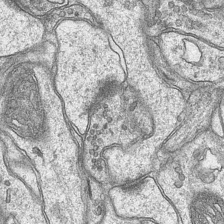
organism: Mouse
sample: CA1 Hippocampus